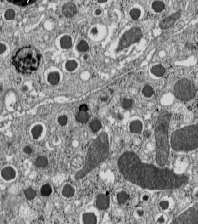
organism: C57BL Mouse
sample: Pancreatic islet